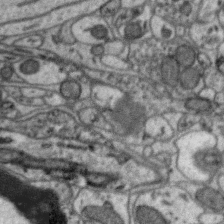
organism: Zebra finch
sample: Brain